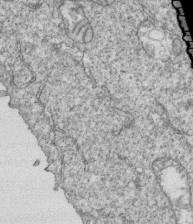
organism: Human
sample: HeLa cell HIV synapse